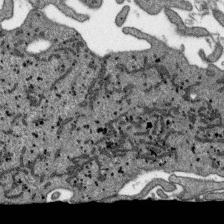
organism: Human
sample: Lung epithelial cells, uninfected (mock) control